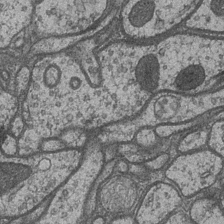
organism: Drosophila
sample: Optic medulla